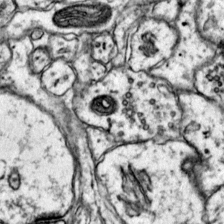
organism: Mouse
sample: Primary visual cortex